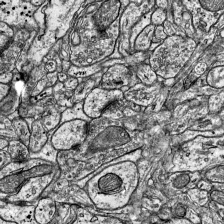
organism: Mouse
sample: Visual Cortex